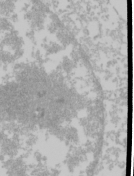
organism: Mouse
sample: Cancer cell death in ED-1 cells